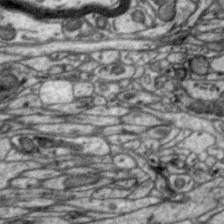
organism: Zebra finch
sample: Brain